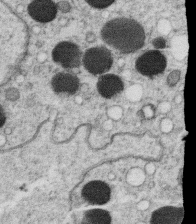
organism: C. elegans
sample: C. elegans oocyte; sperm cells